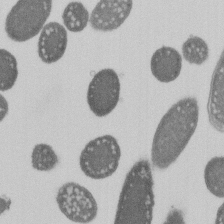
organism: E. coli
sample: Bacterial nucleoid